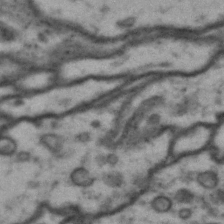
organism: Drosophila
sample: Brain